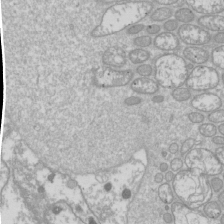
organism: Drosophila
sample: Cell division; meiosis; drosophila spermatocytes